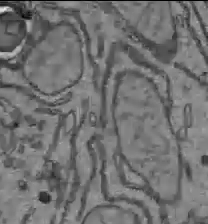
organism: C57BL Mouse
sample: Liver